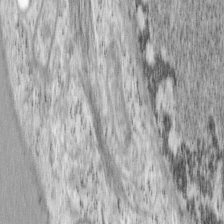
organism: Human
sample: HeLa cells